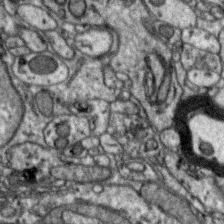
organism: Zebra finch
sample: Brain